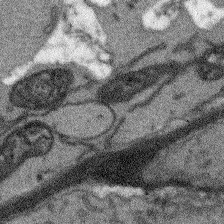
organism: Arabidopsis thaliana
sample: Root tip